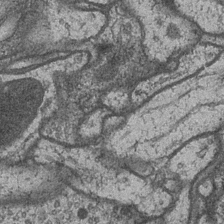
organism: Drosophila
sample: Optic medulla